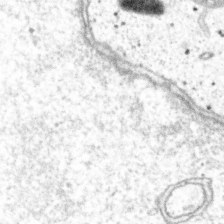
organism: Human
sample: HeLa cells